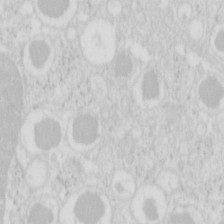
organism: Mouse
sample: Pancreas